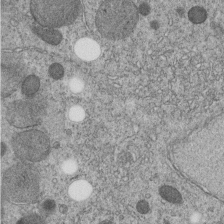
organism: C. elegans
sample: C. elegans embryo early stage